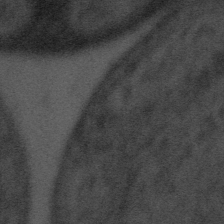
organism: Tuwongella immobilis